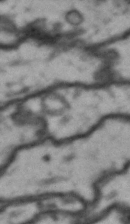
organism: Drosophila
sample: Brain